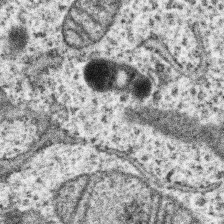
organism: Human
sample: HeLa cells